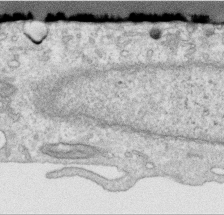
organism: Human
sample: Centriole in RPE cells